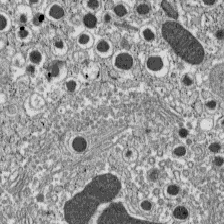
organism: C57BL Mouse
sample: Pancreatic islet